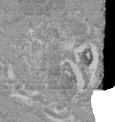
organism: Mouse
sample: Glomerulus